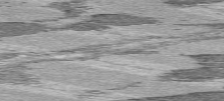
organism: C57BL Mouse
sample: Heart